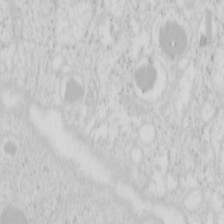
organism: Mouse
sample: Pancreas